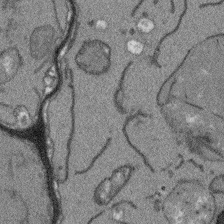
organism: Arabidopsis thaliana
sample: Root tip